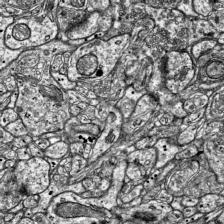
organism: Mouse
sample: Visual Cortex